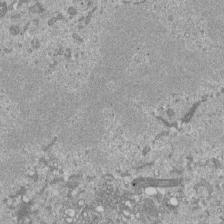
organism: Mouse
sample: ED-1 cell nuclei; centrioles